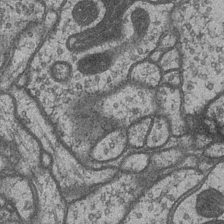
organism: Drosophila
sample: Optic medulla